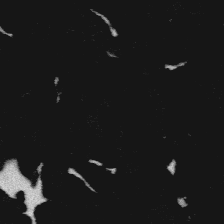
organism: Platynereis dumerilii